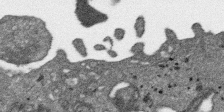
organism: Human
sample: Lung epithelial cells, uninfected (mock) control